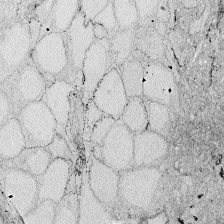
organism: Zebrafish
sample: Whole-Brain